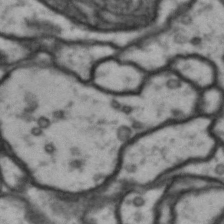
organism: Drosophila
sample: Brain